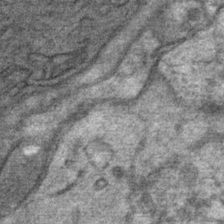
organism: Mouse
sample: Mouse Salivary gland